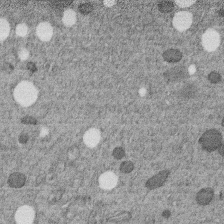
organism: C. elegans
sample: C. elegans embryo early stage